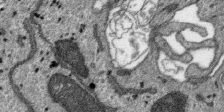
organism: Human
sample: Lung epithelial cells, uninfected (mock) control